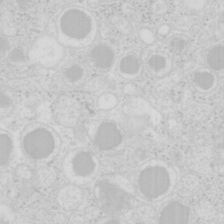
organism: Mouse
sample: Pancreas